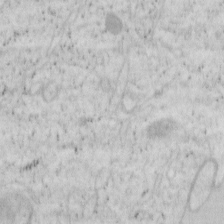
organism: Human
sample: HeLa cells